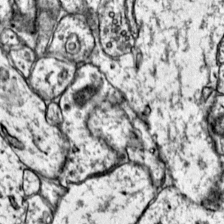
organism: Mouse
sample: Primary visual cortex